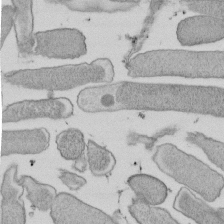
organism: E. coli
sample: Bacterial nucleoid